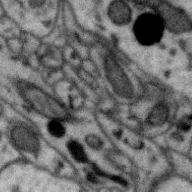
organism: Zebra finch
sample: Brain